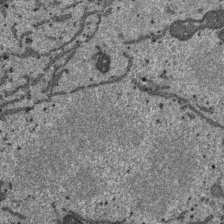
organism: Human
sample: Lung epithelial cells infected with SARS-CoV-2